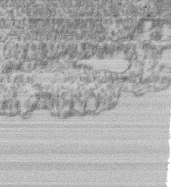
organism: Mouse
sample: T cell stromal cell synapse